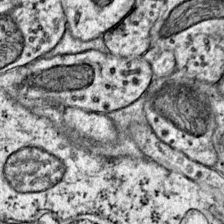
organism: Mouse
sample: Primary visual cortex